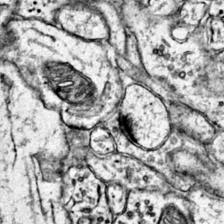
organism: Mouse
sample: Primary visual cortex